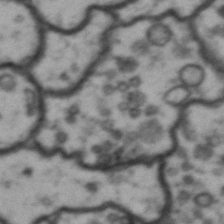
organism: Drosophila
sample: Brain